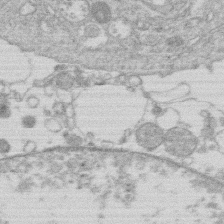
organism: Human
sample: Macrophage cells